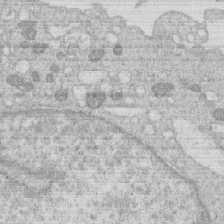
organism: Human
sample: Macrophage cells